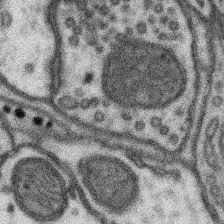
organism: Mouse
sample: Somatosensory cortex neuropil